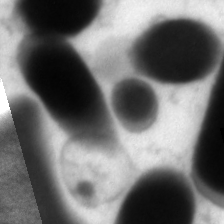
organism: C. elegans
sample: Pharynx